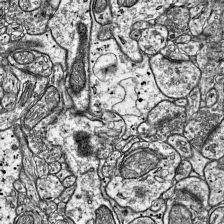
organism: Mouse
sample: Visual Cortex